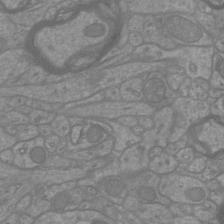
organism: Mouse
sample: Cortical neurons